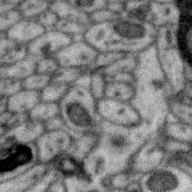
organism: Zebra finch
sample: Brain